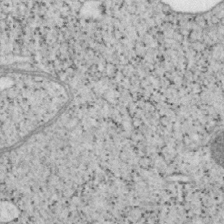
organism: Mouse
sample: OT-I killer T cells with ID8 ovarian cancer cells